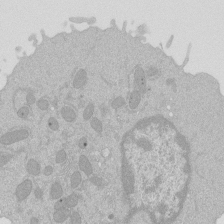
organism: Mouse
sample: Activated Pmel transgenic CD8+ T Cells